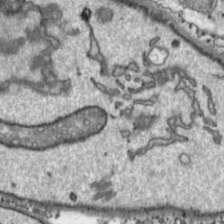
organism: Toxoplasma gondii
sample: Parasites in a vacuole inside a host cell